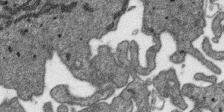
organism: Human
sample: Lung epithelial cells infected with SARS-CoV-2